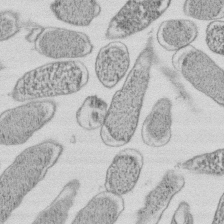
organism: E. coli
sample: Bacterial nucleoid